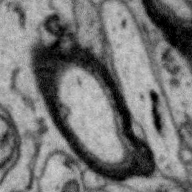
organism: Zebra finch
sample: Brain